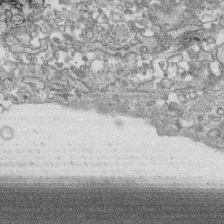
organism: Human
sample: CRL-1474